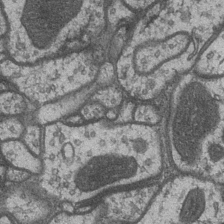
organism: Drosophila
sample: Optic medulla